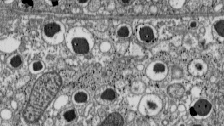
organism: C57BL Mouse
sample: Pancreatic islet